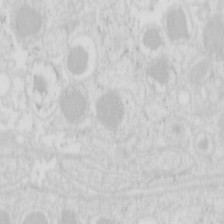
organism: Mouse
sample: Pancreas